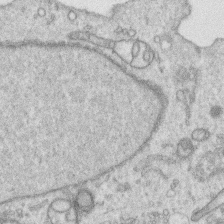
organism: Human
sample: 1205lu cells